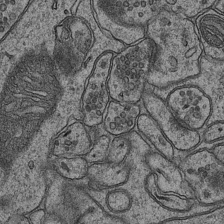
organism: Mouse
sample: CA1 Hippocampus